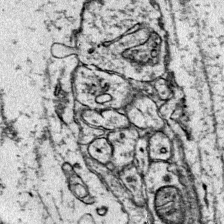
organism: Mouse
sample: Primary visual cortex